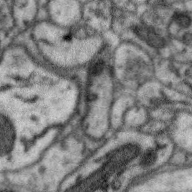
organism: Zebra finch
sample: Brain